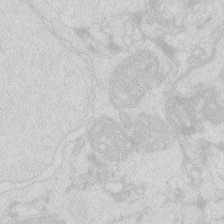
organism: Zebrafish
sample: Macrophage